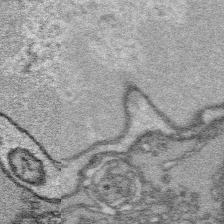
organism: Platynereis dumerilii